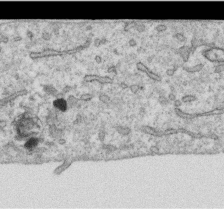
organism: Human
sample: Centriole in RPE cells